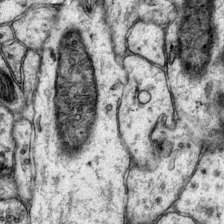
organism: Mouse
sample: Primary visual cortex